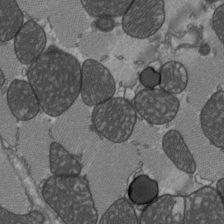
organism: C57BL Mouse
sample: Heart